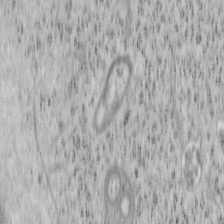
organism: Human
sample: HeLa cells